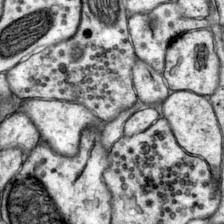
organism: Mouse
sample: Primary visual cortex